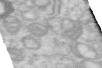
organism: Human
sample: Centriole in RPE cells